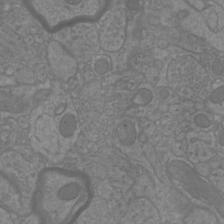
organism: Mouse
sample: Cortical neurons